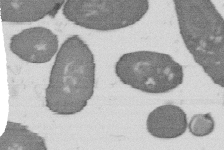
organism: B. subtilis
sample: Bacterial spore